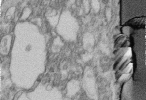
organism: Human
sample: Centriole in fibroblast cells